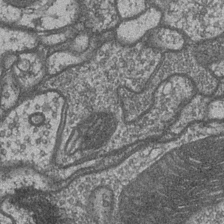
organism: Drosophila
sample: Optic medulla